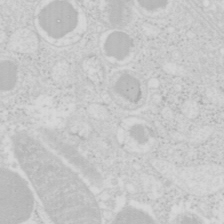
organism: Mouse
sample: Pancreas